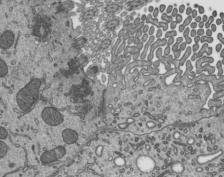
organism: Mouse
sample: Mouse epididymis efferent ductule cilia